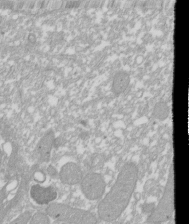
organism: Xenopus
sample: Cilia; centrioles in frog embryo cells